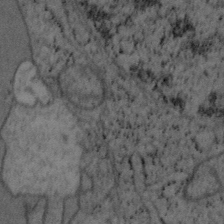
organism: Human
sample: HeLa cells